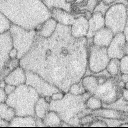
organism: Rabbit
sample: Retina